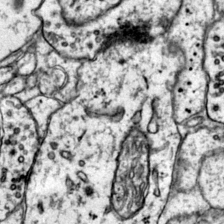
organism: Mouse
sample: Primary visual cortex